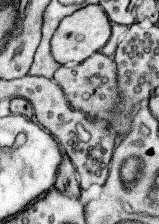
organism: Mouse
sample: Somatosensory cortex neuropil